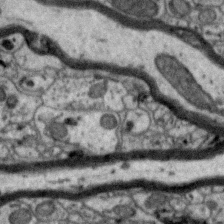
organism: Zebra finch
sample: Brain